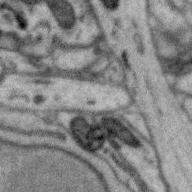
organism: Zebra finch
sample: Brain